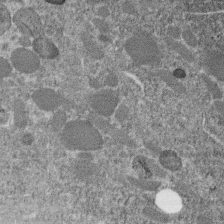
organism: C. elegans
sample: C. elegans embryo early stage